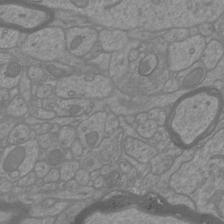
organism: Mouse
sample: Cortical neurons